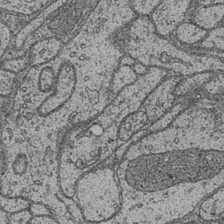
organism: Drosophila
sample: Optic medulla